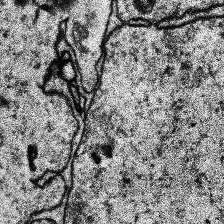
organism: Human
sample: Temporal Lobe